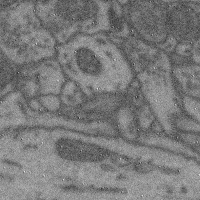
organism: Mouse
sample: Cerebral cortex